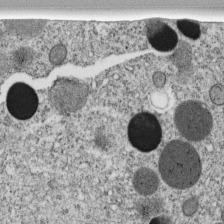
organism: C. elegans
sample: C. elegans embryo early stage